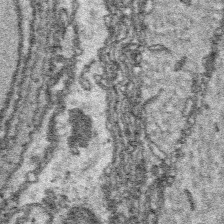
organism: Platynereis dumerilii